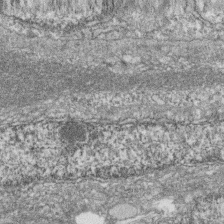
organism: Zebrafish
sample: Cilia; retinal pigment epithelium